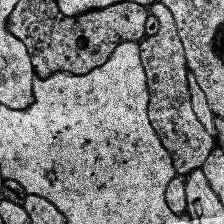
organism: Human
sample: Temporal Lobe